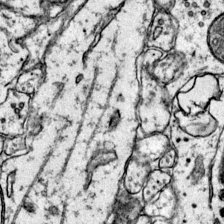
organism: Mouse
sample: Primary visual cortex